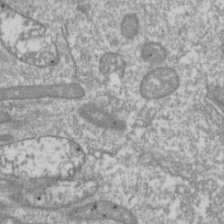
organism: Drosophila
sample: Cell division; meiosis; drosophila spermatocytes